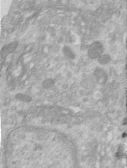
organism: Human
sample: Centriole in RPE cells